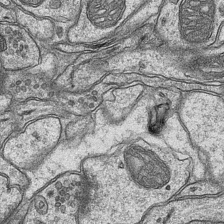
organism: Mouse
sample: CA1 Hippocampus